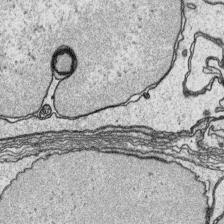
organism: Platynereis dumerilii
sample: Parapodia